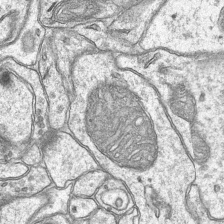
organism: Mouse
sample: CA1 Hippocampus